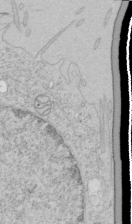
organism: Human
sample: Mitochondria in HCT116 cells